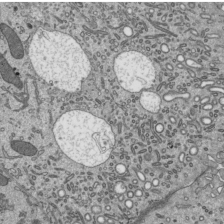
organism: Mouse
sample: Mouse epididymis efferent ductule cilia